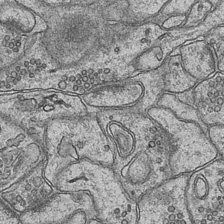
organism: Mouse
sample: CA1 Hippocampus